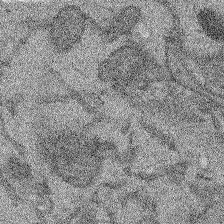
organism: Human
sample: HeLa cells